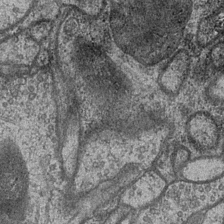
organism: Drosophila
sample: Optic medulla